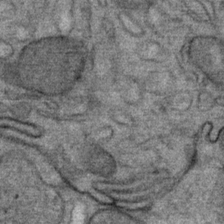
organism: Mouse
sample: Mouse Salivary gland